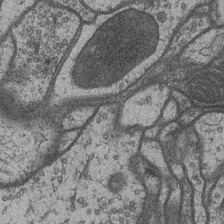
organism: Drosophila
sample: Optic medulla